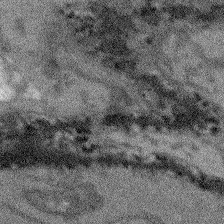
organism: Arabidopsis thaliana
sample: Root tip